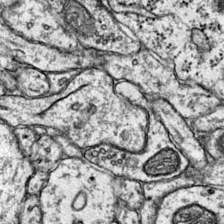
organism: Mouse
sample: Primary visual cortex